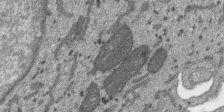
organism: Human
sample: Lung epithelial cells infected with SARS-CoV-2